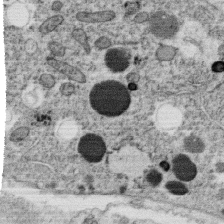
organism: C. elegans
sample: C. elegans oocyte; sperm cells